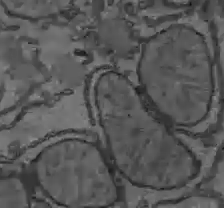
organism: C57BL Mouse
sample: Liver